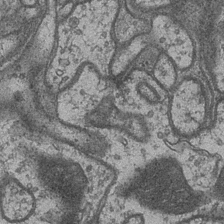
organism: Drosophila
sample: Optic medulla